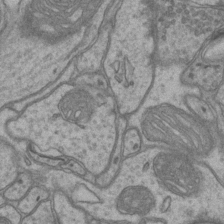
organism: Mouse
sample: CA1 Hippocampus